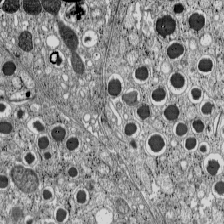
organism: C57BL Mouse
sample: Pancreatic islet